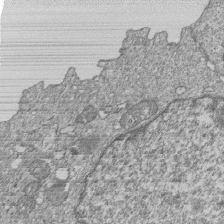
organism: Human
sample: MDA-MB-231 cells